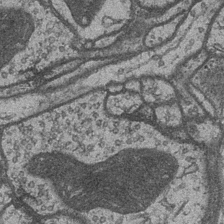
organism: Drosophila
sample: Optic medulla